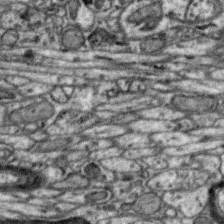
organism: Zebra finch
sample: Brain